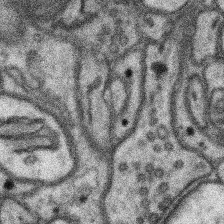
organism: Mouse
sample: Somatosensory cortex neuropil